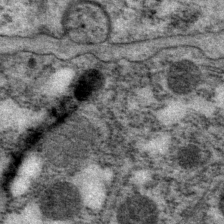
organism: P. pacificus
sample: Pharynx